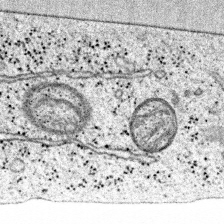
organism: Human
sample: HeLa cells